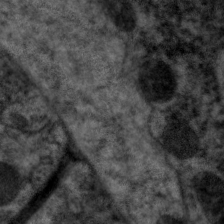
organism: C. elegans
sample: Pharynx